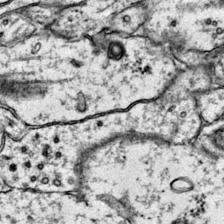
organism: Mouse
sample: Primary visual cortex